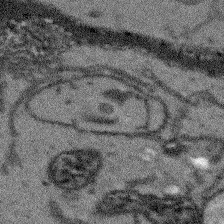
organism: Arabidopsis thaliana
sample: Root tip